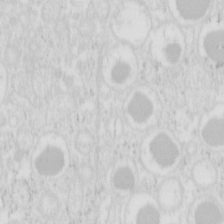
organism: Mouse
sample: Pancreas